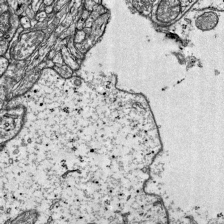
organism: Mouse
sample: Visual Cortex